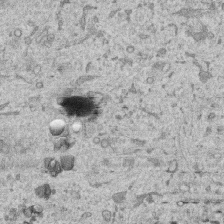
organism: Human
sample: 1205lu cells